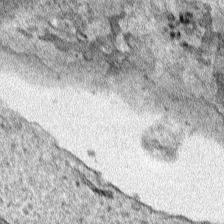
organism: Human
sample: Mitochondria in HCT116 cells